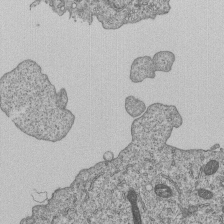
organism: Human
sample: MDA-MB-231 cells